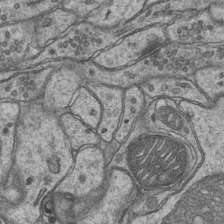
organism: Mouse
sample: CA1 Hippocampus